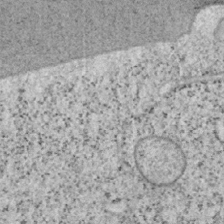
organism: Mouse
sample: OT-I killer T cells with ID8 ovarian cancer cells